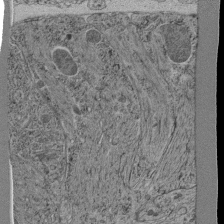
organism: C. elegans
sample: C. elegans pharynx